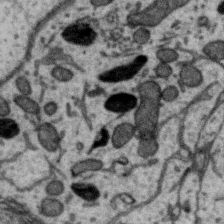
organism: Zebra finch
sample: Brain